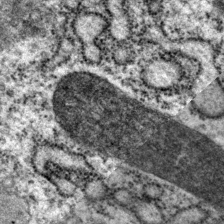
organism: P. pacificus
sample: Pharynx